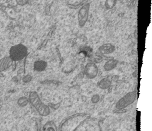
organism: Human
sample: MDA-MB-231 cells